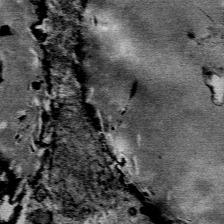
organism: Mouse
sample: Mouse Salivary gland